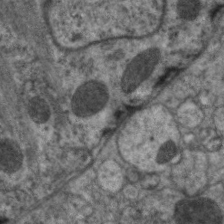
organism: C. elegans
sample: Pharynx